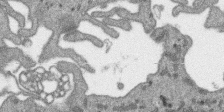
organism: Human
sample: Lung epithelial cells infected with SARS-CoV-2